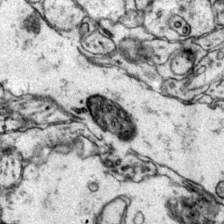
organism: Mouse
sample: Primary visual cortex